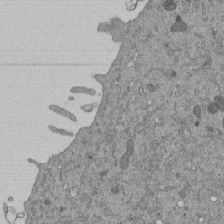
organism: Mouse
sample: ED-1 cell nuclei; centrioles